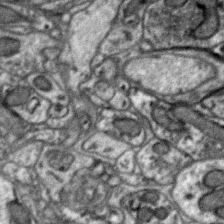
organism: Zebra finch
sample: Brain